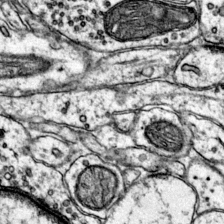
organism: Mouse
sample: Primary visual cortex